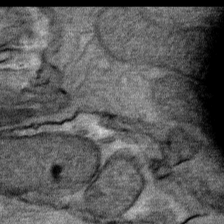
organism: Mouse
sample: Mouse Salivary gland